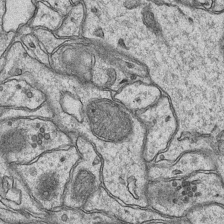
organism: Mouse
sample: CA1 Hippocampus